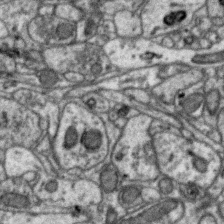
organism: Zebra finch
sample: Brain